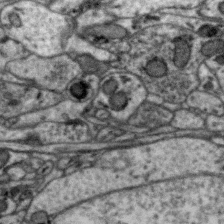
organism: Zebra finch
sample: Brain